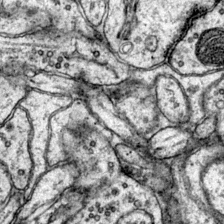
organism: Mouse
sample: Primary visual cortex